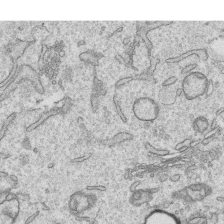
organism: Human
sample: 1205lu cells